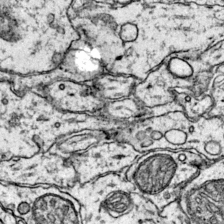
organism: Mouse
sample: Primary visual cortex